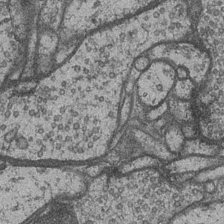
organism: Drosophila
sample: Optic medulla